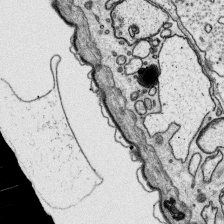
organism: Platynereis dumerilii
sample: Parapodia